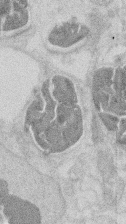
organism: Mouse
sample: T cell stromal cell synapse